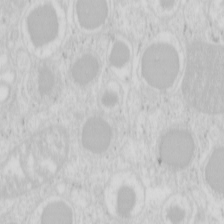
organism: Mouse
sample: Pancreas